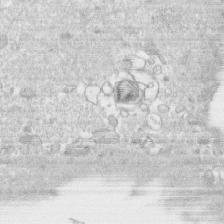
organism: Human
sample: CRL-1474